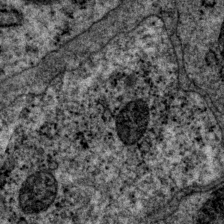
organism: P. pacificus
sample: Pharynx